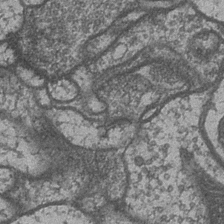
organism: Drosophila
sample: Optic medulla